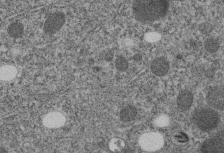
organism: C. elegans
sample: C. elegans embryo early stage